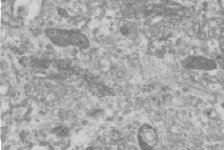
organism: Human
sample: Centriole in RPE cells